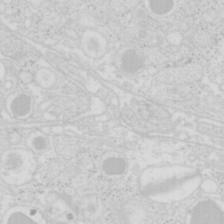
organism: Mouse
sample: Pancreas